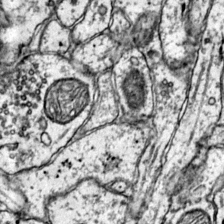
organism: Mouse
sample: Primary visual cortex